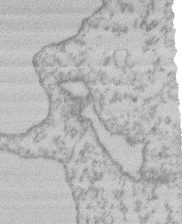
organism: Mouse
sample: T cell stromal cell synapse